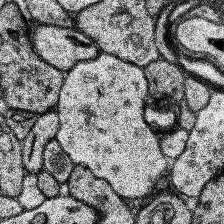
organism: Human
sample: Temporal Lobe